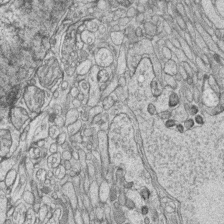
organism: Zebrafish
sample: synaptic ribbons in rod cells and cone cells